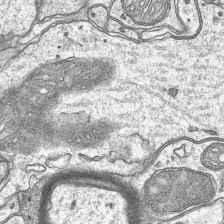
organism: Mouse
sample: CA1 Hippocampus